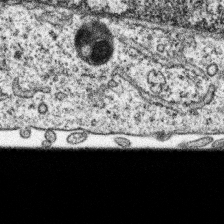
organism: Human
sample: HeLa cells